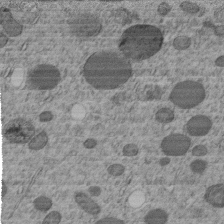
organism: C. elegans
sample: C. elegans embryo early stage